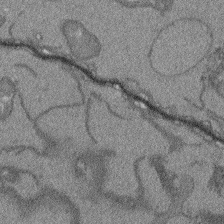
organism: Arabidopsis thaliana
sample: Root tip